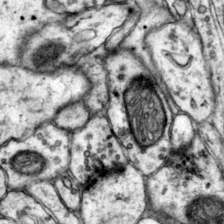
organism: Mouse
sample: Primary visual cortex